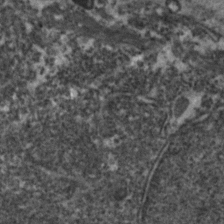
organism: Zebrafish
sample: Zebrafish embryo